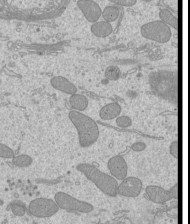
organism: Mouse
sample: Cilia; mouse epididymis